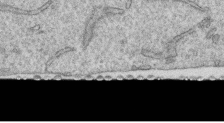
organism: Human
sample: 1205lu cells